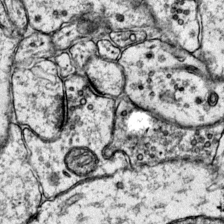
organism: Mouse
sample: Primary visual cortex